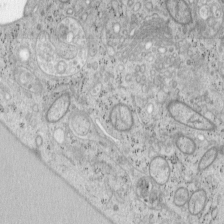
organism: Mouse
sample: OT-I killer T cells with ID8 ovarian cancer cells